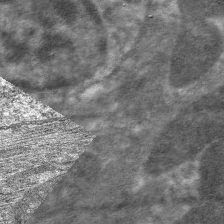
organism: C. elegans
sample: Pharynx